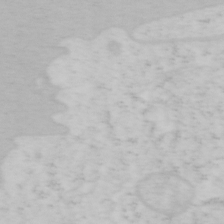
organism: Mouse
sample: OT-I killer T cells with ID8 ovarian cancer cells